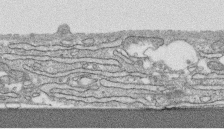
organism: Human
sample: CRL-1474